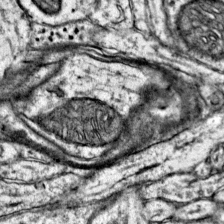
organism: Mouse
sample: Primary visual cortex